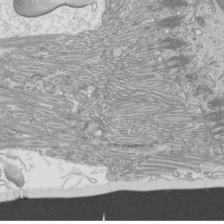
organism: Mouse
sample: Cilia; mouse epididymis